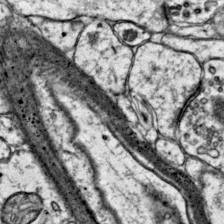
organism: Mouse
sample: Primary visual cortex